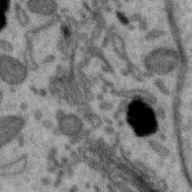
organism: Zebra finch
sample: Brain